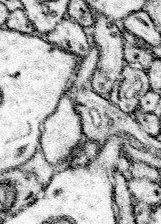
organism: Mouse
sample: Somatosensory cortex neuropil